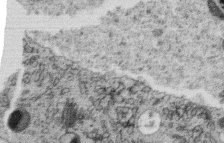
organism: C. elegans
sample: C. elegans oocyte; sperm cells